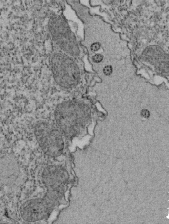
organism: Tetrahymena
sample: Cilia in tetrahymena